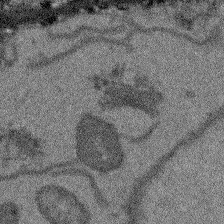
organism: Arabidopsis thaliana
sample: Root tip